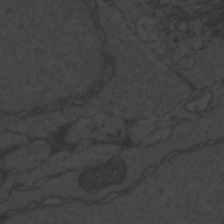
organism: Zebrafish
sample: Macrophage infected with Toxoplasma gondii